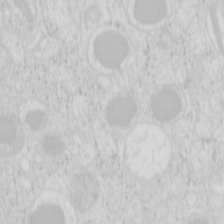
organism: Mouse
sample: Pancreas